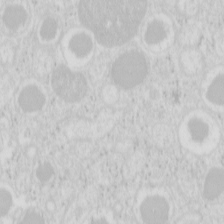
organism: Mouse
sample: Pancreas